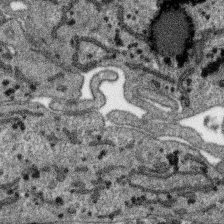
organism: Human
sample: Lung epithelial cells infected with SARS-CoV-2